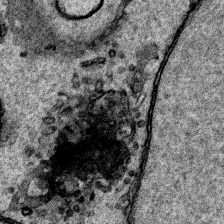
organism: Human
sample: Mitochondria in HCT116 cells